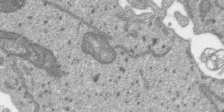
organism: Human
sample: Lung epithelial cells infected with SARS-CoV-2